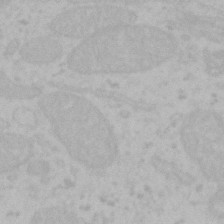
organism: Mouse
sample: Choroid plexus